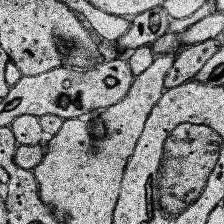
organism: Human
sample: Temporal Lobe